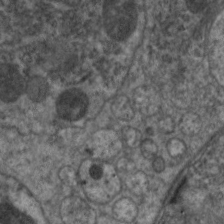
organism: C. elegans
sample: Pharynx